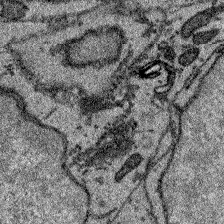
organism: Zebrafish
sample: Larval olfactory bulb